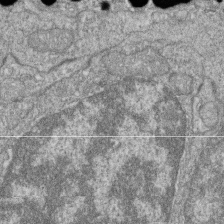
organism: Zebrafish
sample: Cilia; retinal pigment epithelium